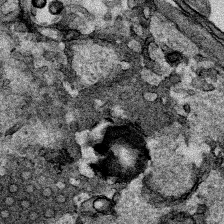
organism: Human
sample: Mitochondria in HCT116 cells